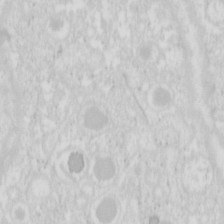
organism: Mouse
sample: Pancreas